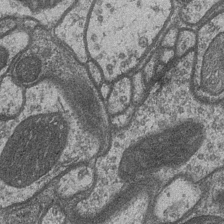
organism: Drosophila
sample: Optic medulla